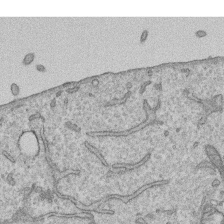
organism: Human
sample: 1205lu cells